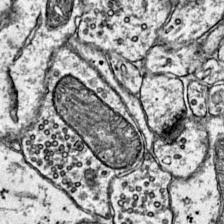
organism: Mouse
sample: Primary visual cortex